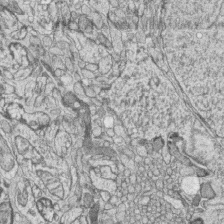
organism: Zebrafish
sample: synaptic ribbons in rod cells and cone cells